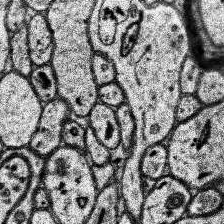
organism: Human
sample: Temporal Lobe